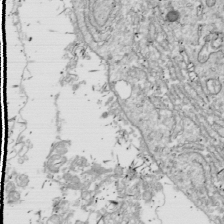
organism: Drosophila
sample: Cell division; meiosis; drosophila spermatocytes